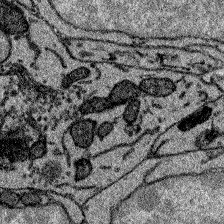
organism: Zebrafish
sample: Larval olfactory bulb